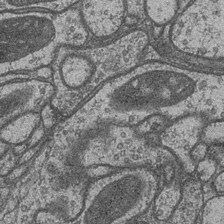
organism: Drosophila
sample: Optic medulla